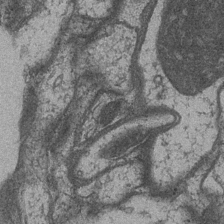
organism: Drosophila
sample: Optic medulla